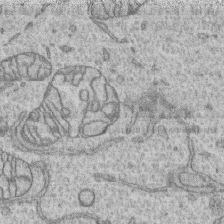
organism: Human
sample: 1205lu cells